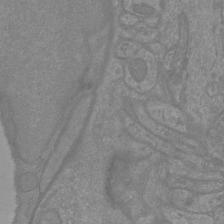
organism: Mouse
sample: Cortical neurons